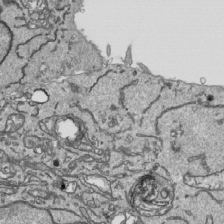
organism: Human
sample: Mitochondria in HCT116 cells